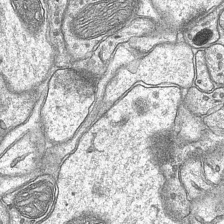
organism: Mouse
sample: CA1 Hippocampus